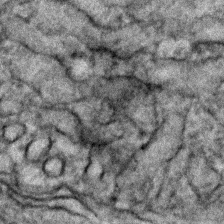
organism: Zebrafish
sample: Zebrafish embryo